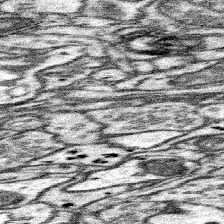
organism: Mouse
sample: Somatosensory cortex neuropil